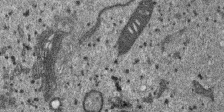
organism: Human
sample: Lung epithelial cells infected with SARS-CoV-2